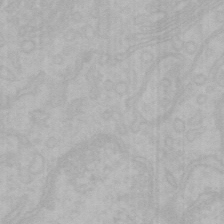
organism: Mouse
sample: Choroid plexus